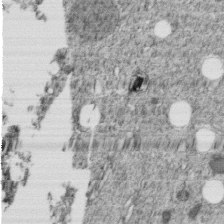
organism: C. elegans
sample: C. elegans embryo early stage